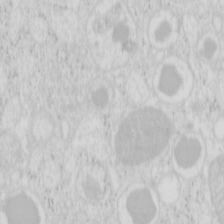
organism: Mouse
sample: Pancreas